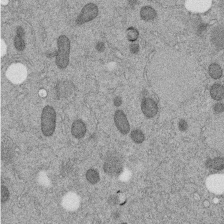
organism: C. elegans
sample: C. elegans embryo early stage